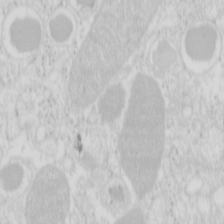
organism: Mouse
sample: Pancreas